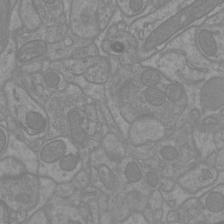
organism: Mouse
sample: Cortical neurons